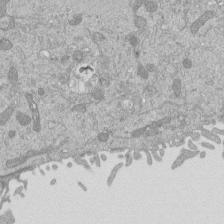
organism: Mouse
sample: ED-1 cell nuclei; centrioles